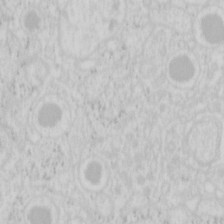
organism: Mouse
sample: Pancreas